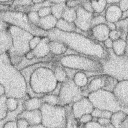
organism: Rabbit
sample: Retina